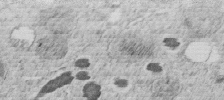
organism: C. elegans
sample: C. elegans embryo early stage